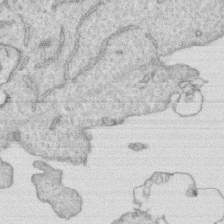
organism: Human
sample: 1205lu cells